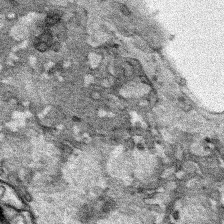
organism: Human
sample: Mitochondria in HCT116 cells